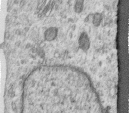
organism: Human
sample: Centriole in RPE cells